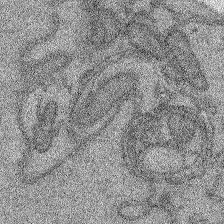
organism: Human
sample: HeLa cells